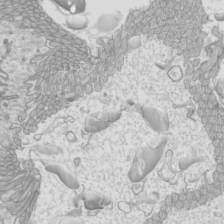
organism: Mouse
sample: Cilia; mouse epididymis